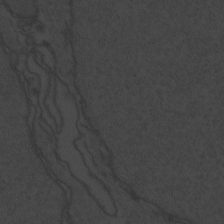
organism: Zebrafish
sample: Macrophage infected with Toxoplasma gondii